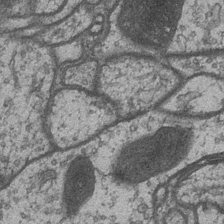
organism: Drosophila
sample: Optic medulla